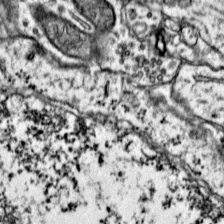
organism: Mouse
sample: Primary visual cortex